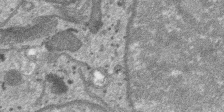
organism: Human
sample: Lung epithelial cells infected with SARS-CoV-2